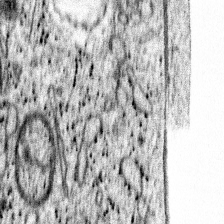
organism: Human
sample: HeLa cells